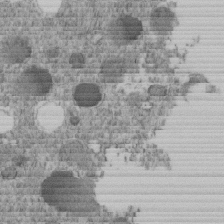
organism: C. elegans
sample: C. elegans embryo early stage